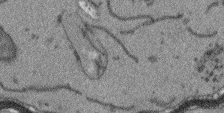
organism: Arabidopsis thaliana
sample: Root tip